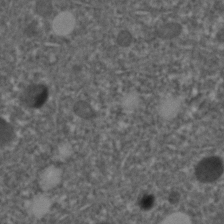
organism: C. elegans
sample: C. elegans embryo